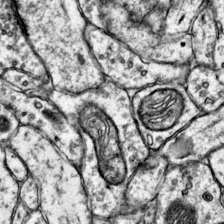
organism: Mouse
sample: Primary visual cortex